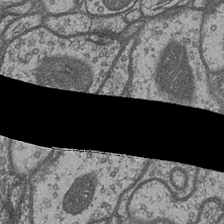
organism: Drosophila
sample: Optic medulla